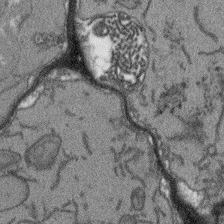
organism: Arabidopsis thaliana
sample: Root tip